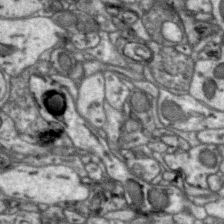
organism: Zebra finch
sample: Brain